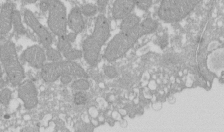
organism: Xenopus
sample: Cilia; centrioles in frog embryo cells